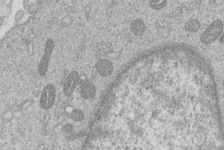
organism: Human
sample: Macrophage cells